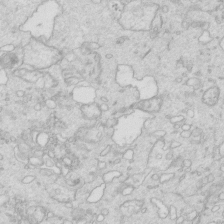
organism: Mouse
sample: Multiciliated cells